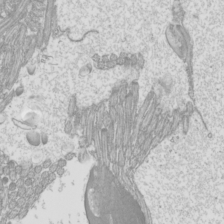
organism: Mouse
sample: Cilia; mouse epididymis